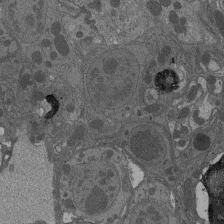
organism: Drosophila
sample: Antenna